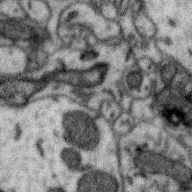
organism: Zebra finch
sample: Brain